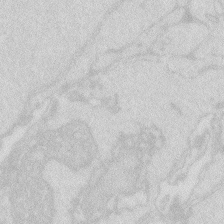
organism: Zebrafish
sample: Macrophage